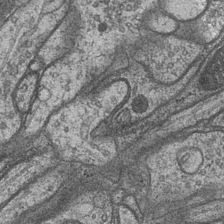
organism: Drosophila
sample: Optic medulla